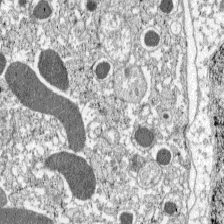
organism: C57BL Mouse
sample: Pancreatic islet